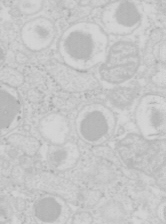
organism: Mouse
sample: Pancreas